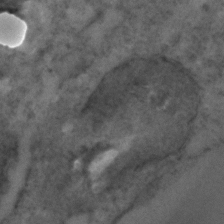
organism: C. elegans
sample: C. elegans embryo